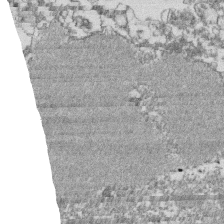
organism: Human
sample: HeLa cell HIV synapse